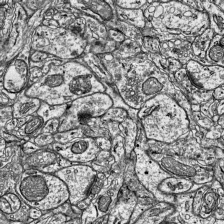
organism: Mouse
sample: Visual Cortex